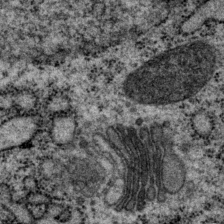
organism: P. pacificus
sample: Pharynx